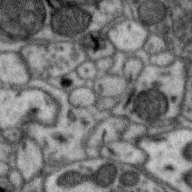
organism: Zebra finch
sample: Brain